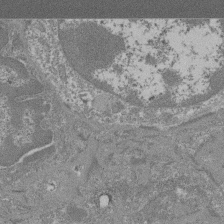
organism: Mouse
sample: Glomerulus